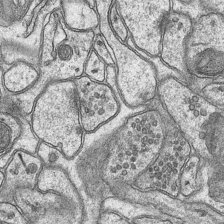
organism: Mouse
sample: CA1 Hippocampus